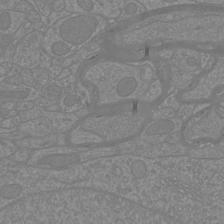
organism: Mouse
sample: Cortical neurons